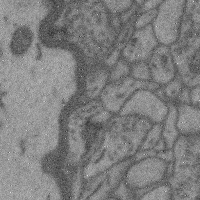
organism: Mouse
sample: Cerebral cortex